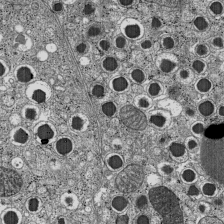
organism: C57BL Mouse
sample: Pancreatic islet